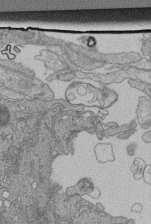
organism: Human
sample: Retinal organoid Rod and Cone cells